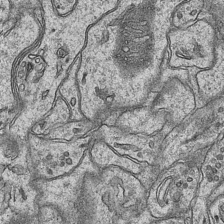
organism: Mouse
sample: CA1 Hippocampus